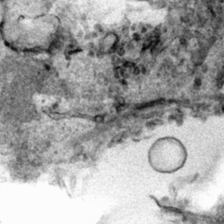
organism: Human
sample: Mitochondria in HCT116 cells